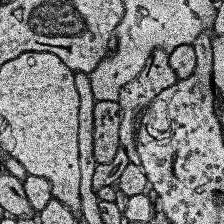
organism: Human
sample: Temporal Lobe